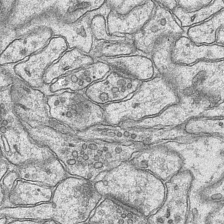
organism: Mouse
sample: CA1 Hippocampus